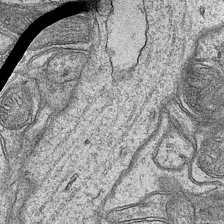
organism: Mouse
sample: CA1 Hippocampus